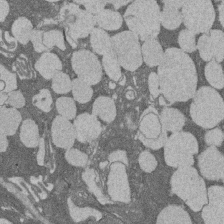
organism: Rat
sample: Salivary granule